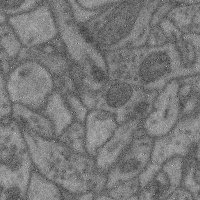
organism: Mouse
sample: Cerebral cortex